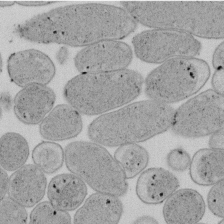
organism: E. coli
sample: Bacterial nucleoid